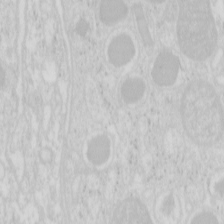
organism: Mouse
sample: Pancreas